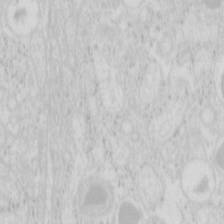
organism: Mouse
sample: Pancreas